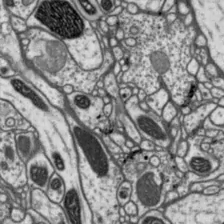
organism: Drosophila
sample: Protocerebral bridge